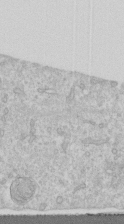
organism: Human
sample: Centriole in RPE cells